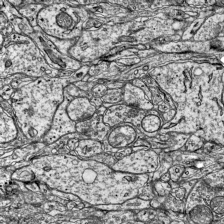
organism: Mouse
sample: Visual Cortex